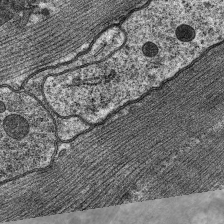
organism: C. elegans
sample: Pharynx